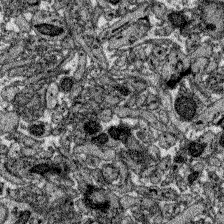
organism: Zebrafish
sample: Larval olfactory bulb